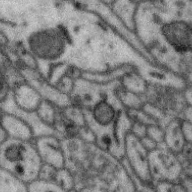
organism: Zebra finch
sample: Brain